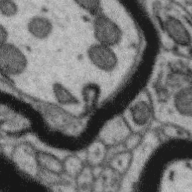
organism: Zebra finch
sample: Brain